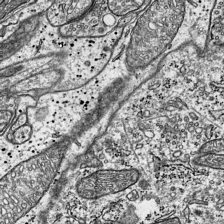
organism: Mouse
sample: Visual Cortex